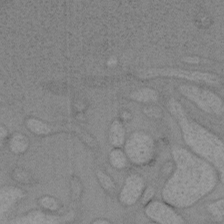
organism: Mouse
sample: OT-I killer T cells with ID8 ovarian cancer cells